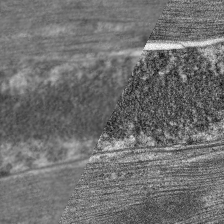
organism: C. elegans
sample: Pharynx